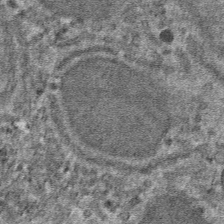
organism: Mouse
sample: Mouse hepatocytes